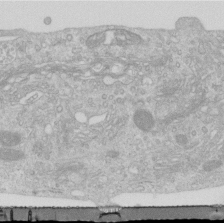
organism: Human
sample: Centriole in RPE cells